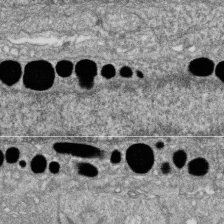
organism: Zebrafish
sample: Cilia; retinal pigment epithelium